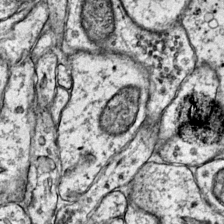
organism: Mouse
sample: Primary visual cortex